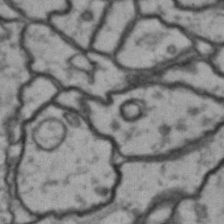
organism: Drosophila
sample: Brain